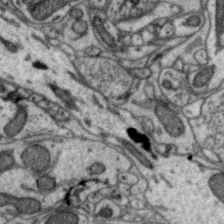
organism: Zebra finch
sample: Brain